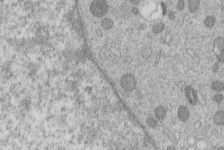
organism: Human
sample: Macrophage cells